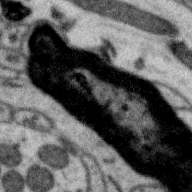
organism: Zebra finch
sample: Brain